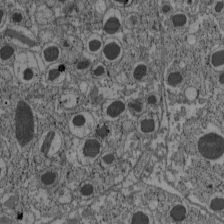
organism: C57BL Mouse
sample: Pancreatic islet